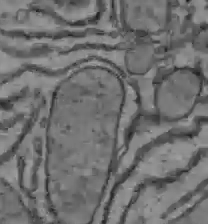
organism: C57BL Mouse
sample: Liver